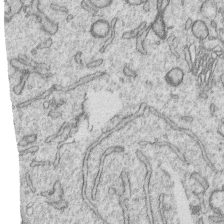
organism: Human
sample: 1205lu cells